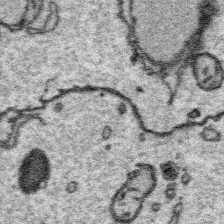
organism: Platynereis dumerilii